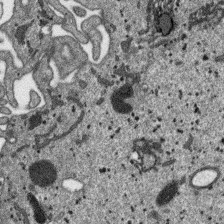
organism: Human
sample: Lung epithelial cells infected with SARS-CoV-2